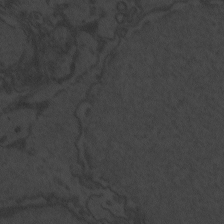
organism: Zebrafish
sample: Macrophage infected with Toxoplasma gondii